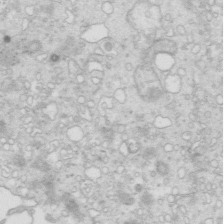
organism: Mouse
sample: Multiciliated cells